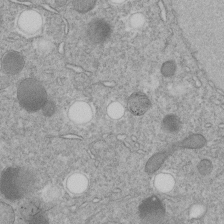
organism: C. elegans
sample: C. elegans embryo early stage